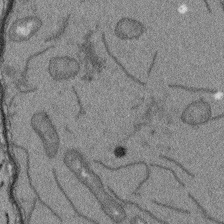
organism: Arabidopsis thaliana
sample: Root tip